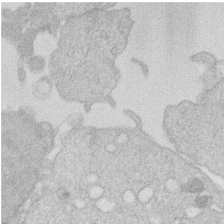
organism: Human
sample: Macrophage cells